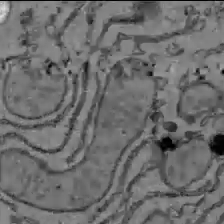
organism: C57BL Mouse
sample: Liver